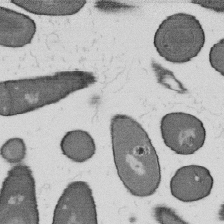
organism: B. subtilis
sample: Bacterial spore